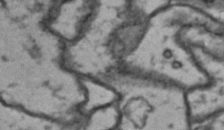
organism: Drosophila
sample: Brain